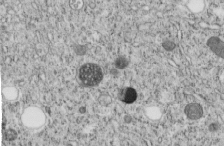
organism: C. elegans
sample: C. elegans embryo early stage